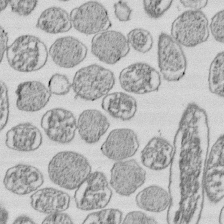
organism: E. coli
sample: Bacterial nucleoid